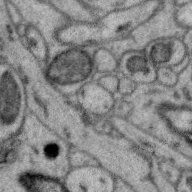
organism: Zebra finch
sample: Brain